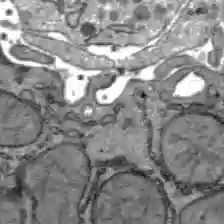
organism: C57BL Mouse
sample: Liver